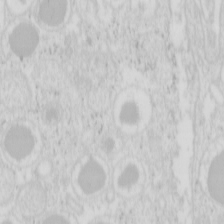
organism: Mouse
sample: Pancreas